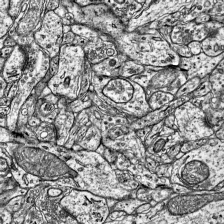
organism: Mouse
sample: Visual Cortex